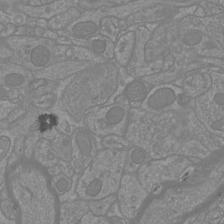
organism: Mouse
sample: Cortical neurons